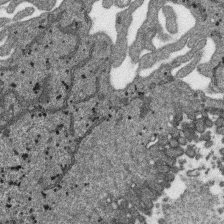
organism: Human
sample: Lung epithelial cells infected with SARS-CoV-2